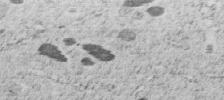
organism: C. elegans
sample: C. elegans embryo early stage